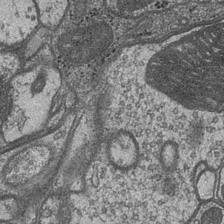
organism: Drosophila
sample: Optic medulla